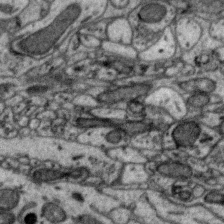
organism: Zebra finch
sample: Brain